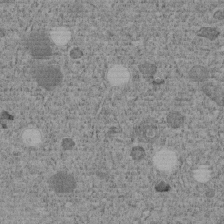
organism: C. elegans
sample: C. elegans embryo early stage